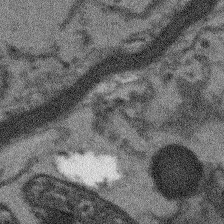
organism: Arabidopsis thaliana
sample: Root tip